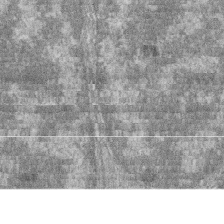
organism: Zebrafish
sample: Cilia; retinal pigment epithelium